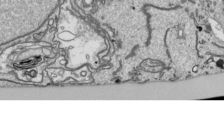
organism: Human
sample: Mitochondria in HCT116 cells